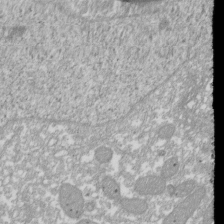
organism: Xenopus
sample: Cilia; centrioles in frog embryo cells